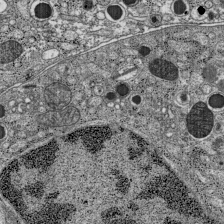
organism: C57BL Mouse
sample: Pancreatic islet